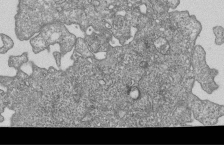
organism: Human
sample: MDA-MB-231 cells